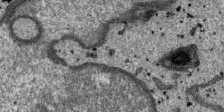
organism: Human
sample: Lung epithelial cells, uninfected (mock) control